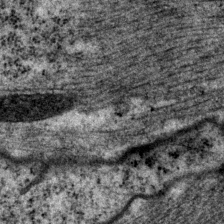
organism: P. pacificus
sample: Pharynx